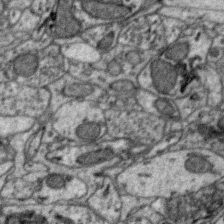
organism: Zebra finch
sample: Brain